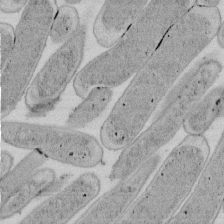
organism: E. coli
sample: Bacterial nucleoid